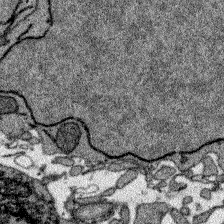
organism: Zebrafish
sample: Larval olfactory bulb